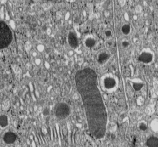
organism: C57BL Mouse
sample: Pancreatic islet